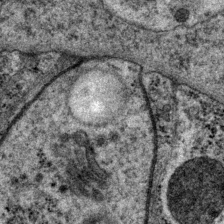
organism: P. pacificus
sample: Pharynx